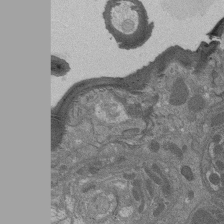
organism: Drosophila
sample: Antenna